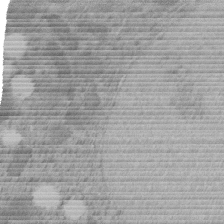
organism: C. elegans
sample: C. elegans embryo early stage